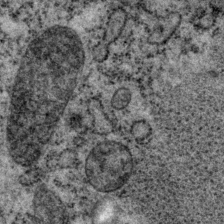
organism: P. pacificus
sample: Pharynx